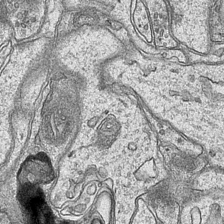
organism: Mouse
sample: CA1 Hippocampus